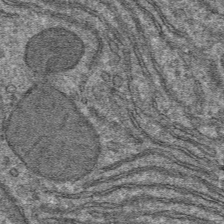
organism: Mouse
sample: Mouse hepatocytes